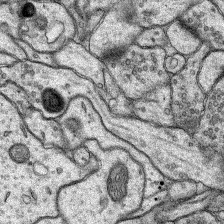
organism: Rat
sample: Hippocampus